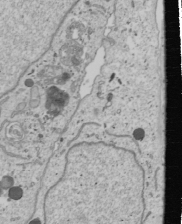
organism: Human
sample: Mitochondria in U2OS cells